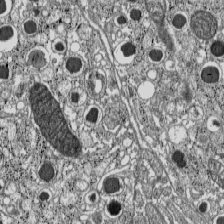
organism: C57BL Mouse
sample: Pancreatic islet